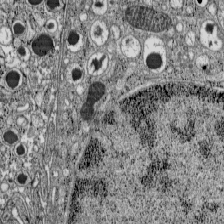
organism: C57BL Mouse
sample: Pancreatic islet